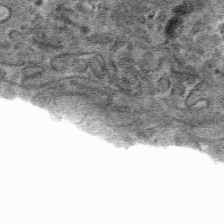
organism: Mouse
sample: Mouse hepatocytes